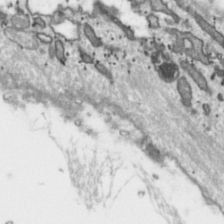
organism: Toxoplasma gondii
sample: Parasites in a vacuole inside a host cell